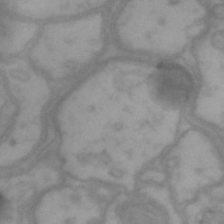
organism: Drosophila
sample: Brain